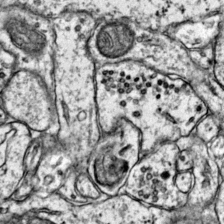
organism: Mouse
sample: Primary visual cortex